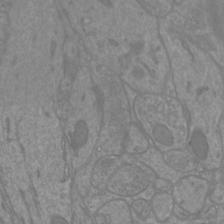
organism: Mouse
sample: Cortical neurons